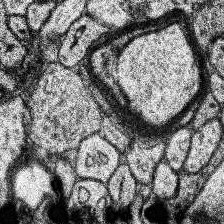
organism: Human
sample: Temporal Lobe